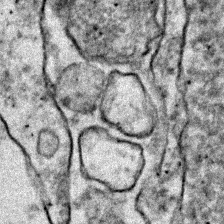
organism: Zebrafish